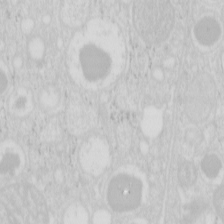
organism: Mouse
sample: Pancreas